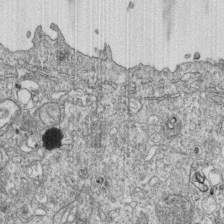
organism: Human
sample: HeLa cell HIV synapse